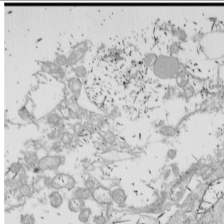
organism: Drosophila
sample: Cell division; meiosis; drosophila spermatocytes